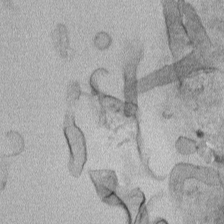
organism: Human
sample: Mitochondria in HCT116 cells